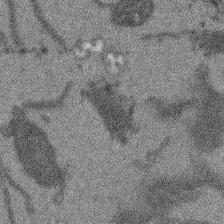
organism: Arabidopsis thaliana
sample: Root tip